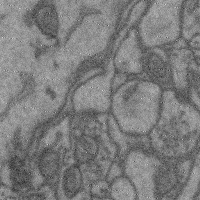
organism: Mouse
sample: Cerebral cortex